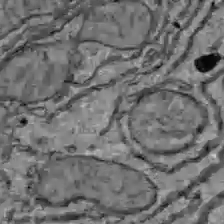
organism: C57BL Mouse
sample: Liver